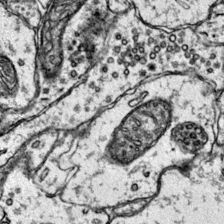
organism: Mouse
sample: Primary visual cortex